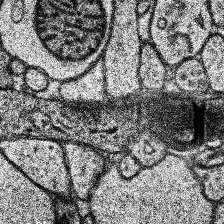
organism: Human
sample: Temporal Lobe